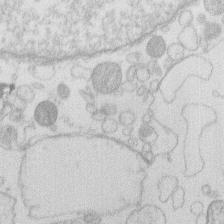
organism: Human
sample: Macrophage cells